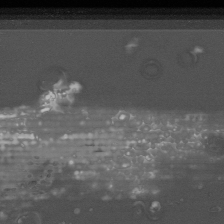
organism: Mouse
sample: Cancer cell death in ED-1 cells